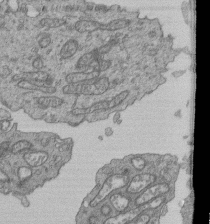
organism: Human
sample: Retinal organoid Rod and Cone cells